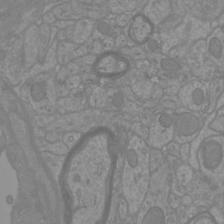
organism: Mouse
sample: Cortical neurons